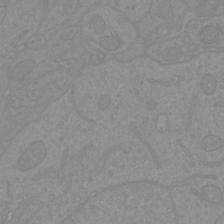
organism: Mouse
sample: Cortical neurons